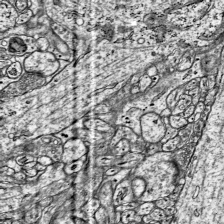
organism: Mouse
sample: Visual Cortex